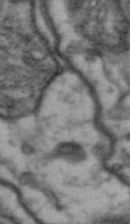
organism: Drosophila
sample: Brain